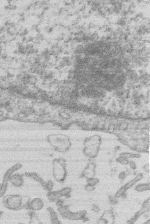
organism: Human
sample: Macrophage cells